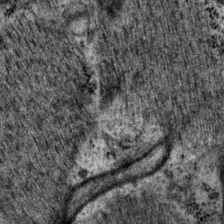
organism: P. pacificus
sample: Pharynx